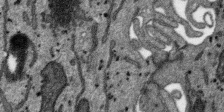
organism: Human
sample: Lung epithelial cells, uninfected (mock) control